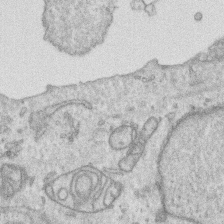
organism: Human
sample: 1205lu cells